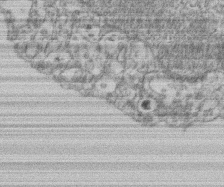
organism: Mouse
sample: T cell stromal cell synapse